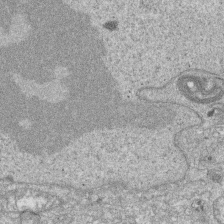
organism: Human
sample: HeLa cell HIV synapse